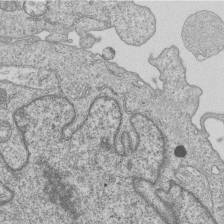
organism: Human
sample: MDA-MB-231 cells